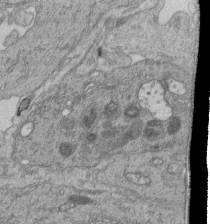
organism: Human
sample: Retinal organoid Rod and Cone cells